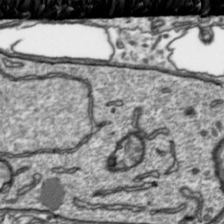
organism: Toxoplasma gondii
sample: Parasites in a vacuole inside a host cell